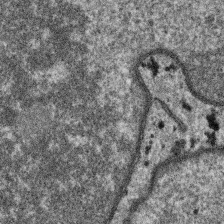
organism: Human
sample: Lung epithelial cells infected with SARS-CoV-2